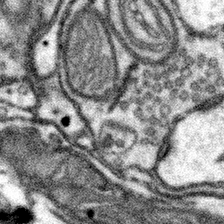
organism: Mouse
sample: Somatosensory cortex neuropil